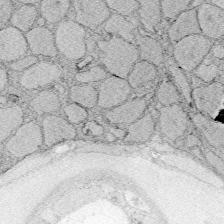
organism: Zebrafish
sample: Whole-Brain